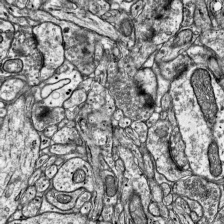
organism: Mouse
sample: Visual Cortex